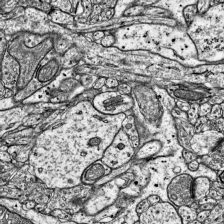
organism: Mouse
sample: Visual Cortex